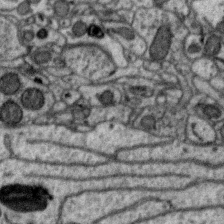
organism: Zebra finch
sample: Brain